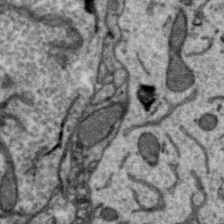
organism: Zebra finch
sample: Brain